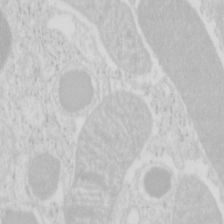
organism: Mouse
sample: Pancreas